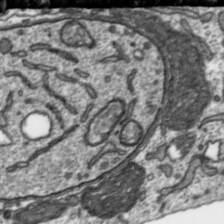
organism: Toxoplasma gondii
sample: Parasites in a vacuole inside a host cell